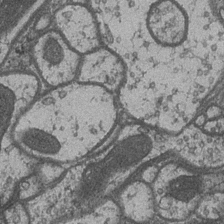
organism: Drosophila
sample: Optic medulla